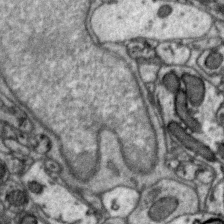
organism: Zebra finch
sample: Brain